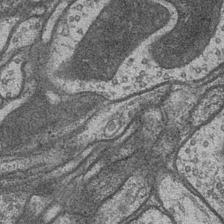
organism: Drosophila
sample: Optic medulla